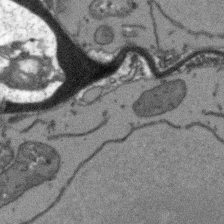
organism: Arabidopsis thaliana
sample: Root tip